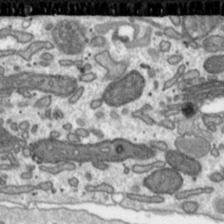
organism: Toxoplasma gondii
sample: Parasites in a vacuole inside a host cell